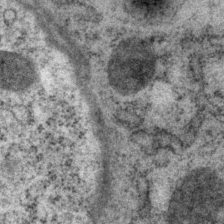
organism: P. pacificus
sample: Pharynx